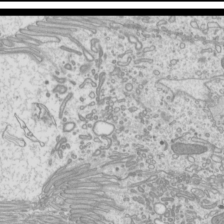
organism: Mouse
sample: Cilia; mouse epididymis